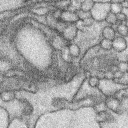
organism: Rabbit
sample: Retina